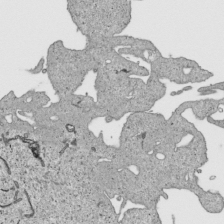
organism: Human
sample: Mitochondria in HCT116 cells